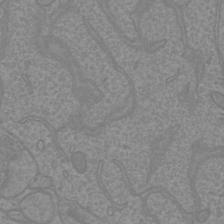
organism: Mouse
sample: Cortical neurons